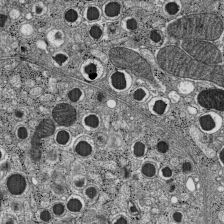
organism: C57BL Mouse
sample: Pancreatic islet